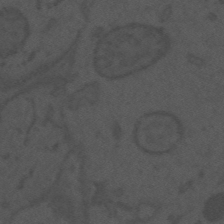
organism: Mouse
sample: Suprachiasmatic nucleus